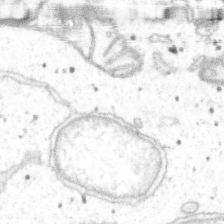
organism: Human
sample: HeLa cells